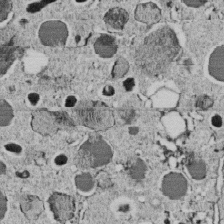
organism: C. elegans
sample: C. elegans embryo early stage